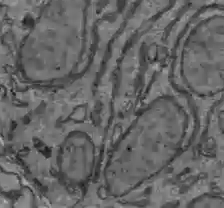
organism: C57BL Mouse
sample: Liver